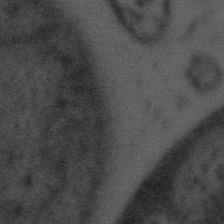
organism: Tuwongella immobilis